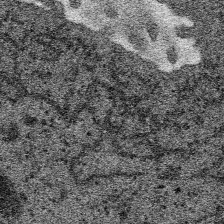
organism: Human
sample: Lung epithelial cells infected with SARS-CoV-2